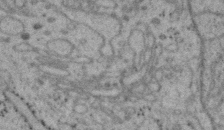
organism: Human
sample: HeLa cells